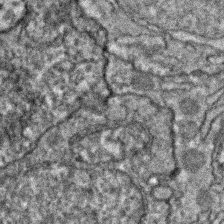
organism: Zebrafish